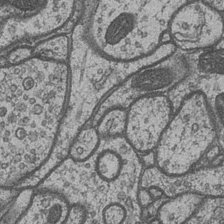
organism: Drosophila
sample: Optic medulla